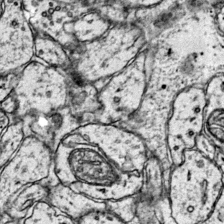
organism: Mouse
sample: Primary visual cortex